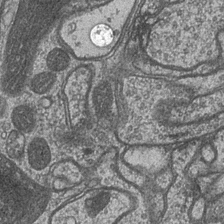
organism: Drosophila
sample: Optic medulla